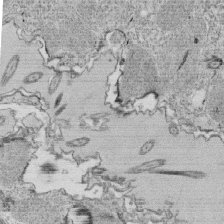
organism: Tetrahymena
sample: Cilia in tetrahymena